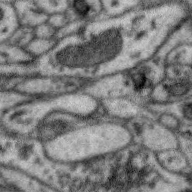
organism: Zebra finch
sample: Brain